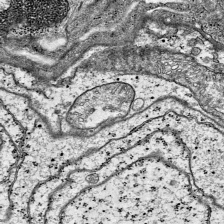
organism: Mouse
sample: Visual Cortex